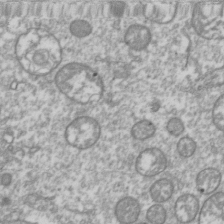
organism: Drosophila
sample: Cell division; meiosis; drosophila spermatocytes